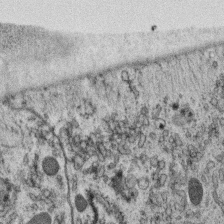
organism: C. elegans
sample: C. elegans oocyte; sperm cells